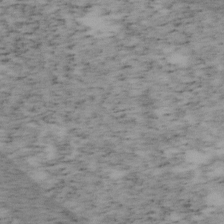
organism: Mouse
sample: OT-I killer T cells with ID8 ovarian cancer cells